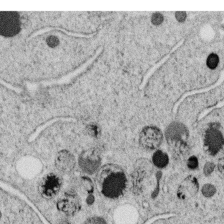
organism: C. elegans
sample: C. elegans oocyte; sperm cells